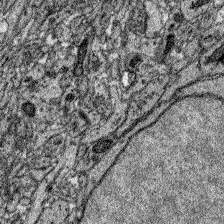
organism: Zebrafish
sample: Larval olfactory bulb